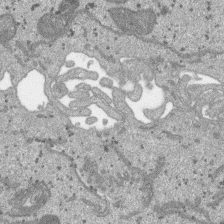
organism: Human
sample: Lung epithelial cells infected with SARS-CoV-2